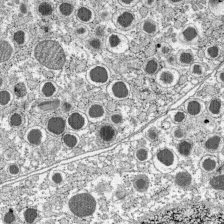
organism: C57BL Mouse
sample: Pancreatic islet